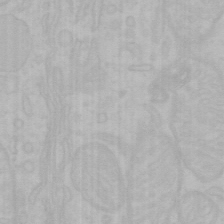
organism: Mouse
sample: Choroid plexus